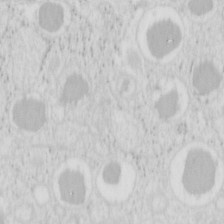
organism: Mouse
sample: Pancreas